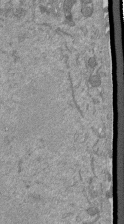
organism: Mouse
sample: ED-1 cell nuclei; centrioles